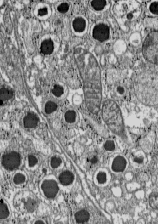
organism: C57BL Mouse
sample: Pancreatic islet